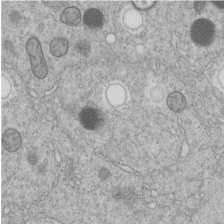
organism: C. elegans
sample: C. elegans embryo early stage